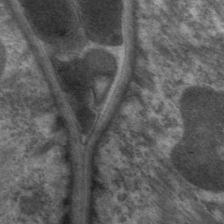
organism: C. elegans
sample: Pharynx